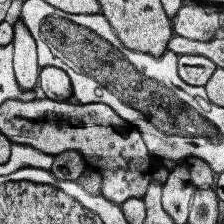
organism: Human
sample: Temporal Lobe